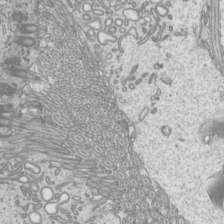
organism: Mouse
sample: Cilia; mouse epididymis